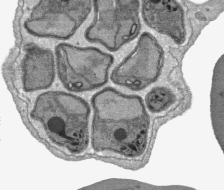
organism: Plasmodium falciparum